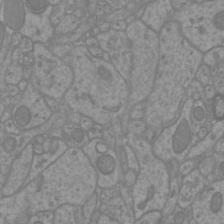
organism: Mouse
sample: Cortical neurons